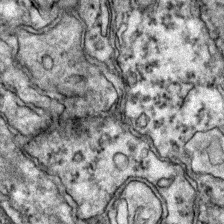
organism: Zebrafish